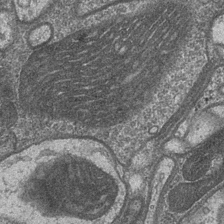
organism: Drosophila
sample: Optic medulla